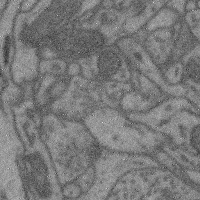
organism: Mouse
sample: Cerebral cortex